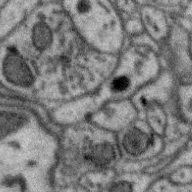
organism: Zebra finch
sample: Brain